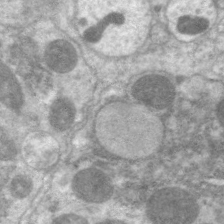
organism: C. elegans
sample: Pharynx